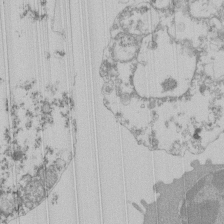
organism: Mouse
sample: Activated Pmel transgenic CD8+ T Cells